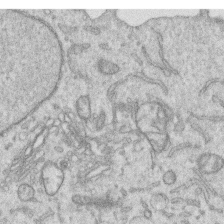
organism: Human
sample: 1205lu cells